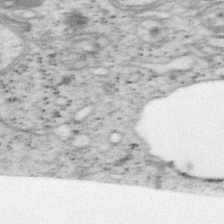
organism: Mouse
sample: OT-I killer T cells with ID8 ovarian cancer cells